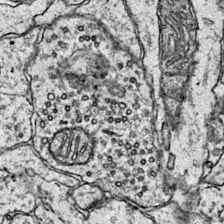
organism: Mouse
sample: Primary visual cortex